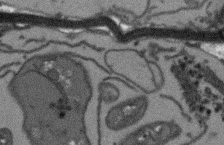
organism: Arabidopsis thaliana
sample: Root tip